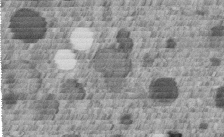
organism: C. elegans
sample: C. elegans embryo early stage